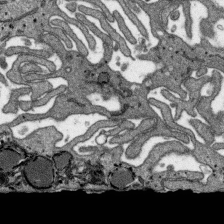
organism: Human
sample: Lung epithelial cells, uninfected (mock) control